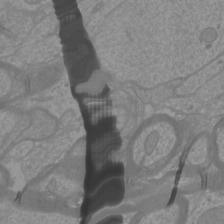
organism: Mouse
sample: Cortical neurons